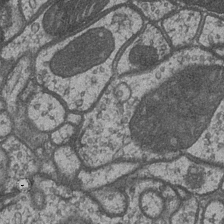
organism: Drosophila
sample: Optic medulla